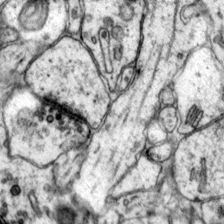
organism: Mouse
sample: Primary visual cortex